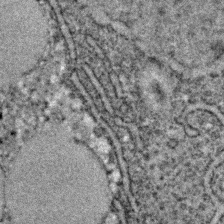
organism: C. elegans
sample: C. elegans embryo